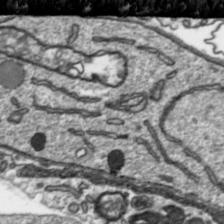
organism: Toxoplasma gondii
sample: Parasites in a vacuole inside a host cell